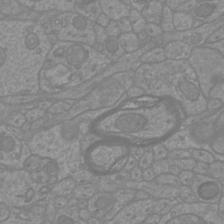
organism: Mouse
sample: Cortical neurons